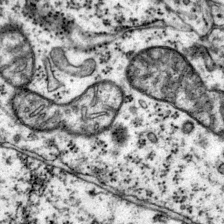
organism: Mouse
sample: Primary visual cortex